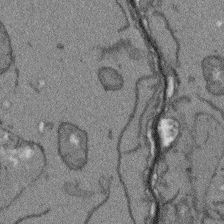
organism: Arabidopsis thaliana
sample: Root tip